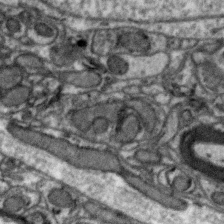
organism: Zebra finch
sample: Brain